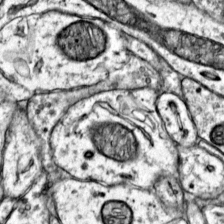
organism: Mouse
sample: Primary visual cortex